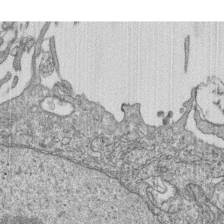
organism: Human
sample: HeLa cell HIV synapse